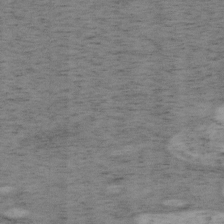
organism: Mouse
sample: OT-I killer T cells with ID8 ovarian cancer cells